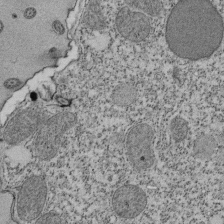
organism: Tetrahymena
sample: Cilia in tetrahymena